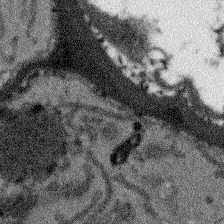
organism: Arabidopsis thaliana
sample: Root tip